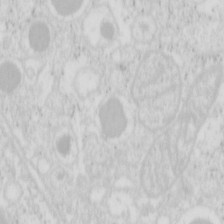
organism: Mouse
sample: Pancreas